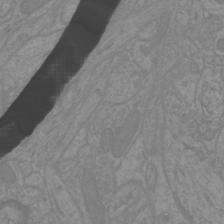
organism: Mouse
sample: Cortical neurons